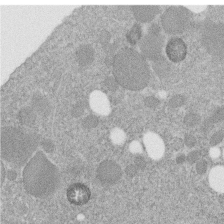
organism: C. elegans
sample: C. elegans embryo early stage